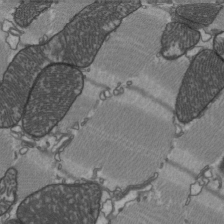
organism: C57BL Mouse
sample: Heart